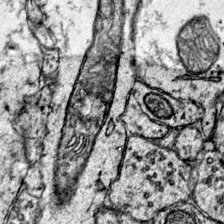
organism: Mouse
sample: Primary visual cortex